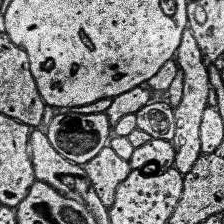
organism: Human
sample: Temporal Lobe